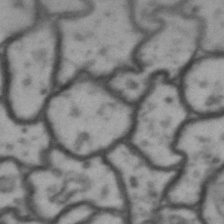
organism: Drosophila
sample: Brain